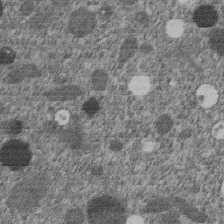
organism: C. elegans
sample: C. elegans embryo early stage